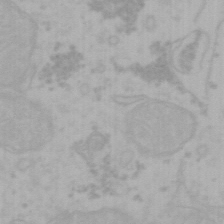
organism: Mouse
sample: Choroid plexus